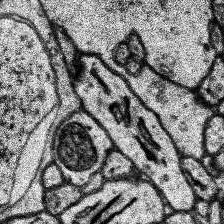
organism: Human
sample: Temporal Lobe